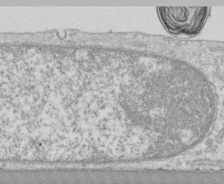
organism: Human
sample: CRL-1474